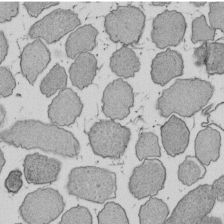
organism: E. coli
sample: Bacterial nucleoid